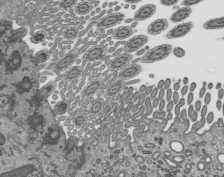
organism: Mouse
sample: Mouse epididymis efferent ductule cilia